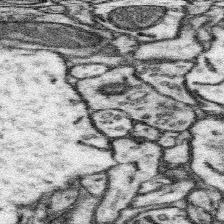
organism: Mouse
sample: Somatosensory cortex neuropil